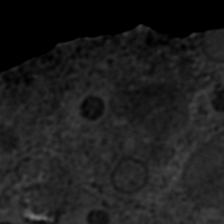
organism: C. elegans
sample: C. elegans embryo